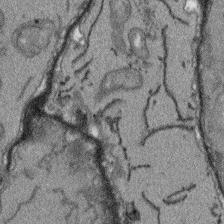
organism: Arabidopsis thaliana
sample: Root tip